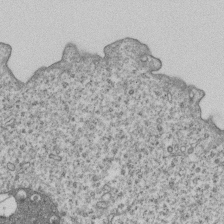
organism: Human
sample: MDA-MB-231 cells